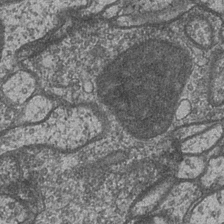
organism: Drosophila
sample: Optic medulla